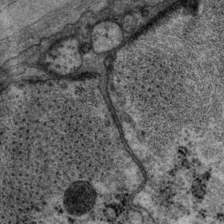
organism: P. pacificus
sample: Pharynx